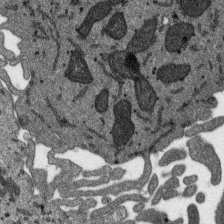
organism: Human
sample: Lung epithelial cells infected with SARS-CoV-2